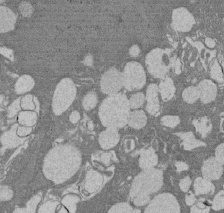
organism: Rat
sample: Salivary granule